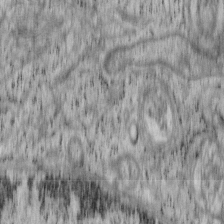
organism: Human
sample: HeLa cells